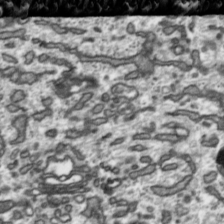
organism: Toxoplasma gondii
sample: Parasites in a vacuole inside a host cell